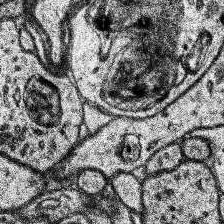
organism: Human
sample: Temporal Lobe